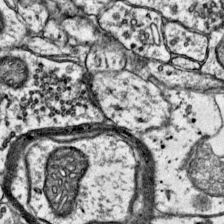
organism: Mouse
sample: Primary visual cortex